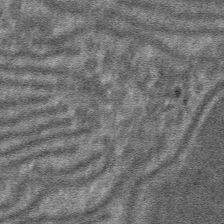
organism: Mouse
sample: Mouse hepatocytes